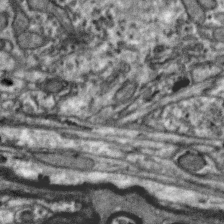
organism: Zebra finch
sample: Brain